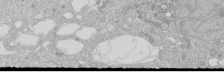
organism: Human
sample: Caco-2 cells